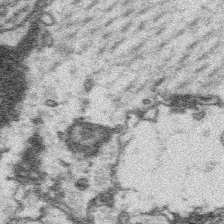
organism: Platynereis dumerilii